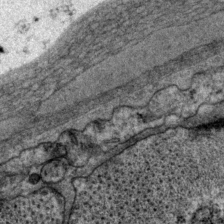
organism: P. pacificus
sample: Pharynx